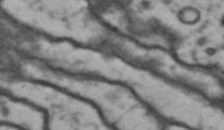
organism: Drosophila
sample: Brain